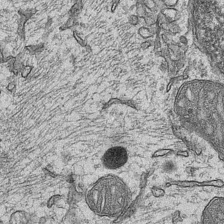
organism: Mouse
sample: CA1 Hippocampus